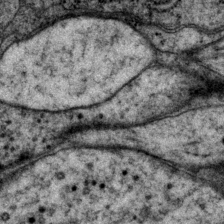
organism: P. pacificus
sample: Pharynx